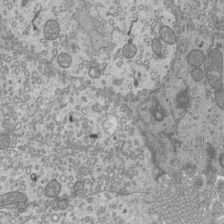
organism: Mouse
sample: Cilia; mouse epididymis